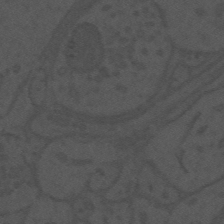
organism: Mouse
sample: Suprachiasmatic nucleus